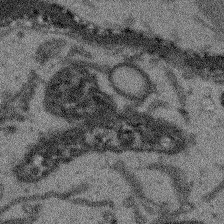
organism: Arabidopsis thaliana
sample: Root tip